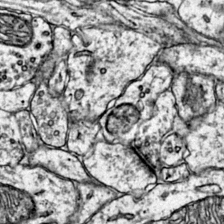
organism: Mouse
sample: Primary visual cortex